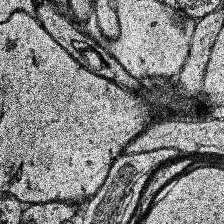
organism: Human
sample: Temporal Lobe